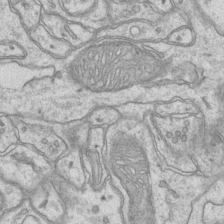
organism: Mouse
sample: CA1 Hippocampus